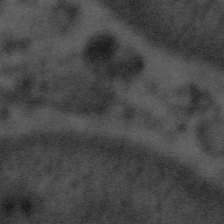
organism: Tuwongella immobilis